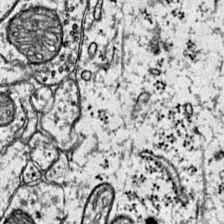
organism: Mouse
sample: Primary visual cortex